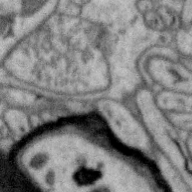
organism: Zebra finch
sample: Brain